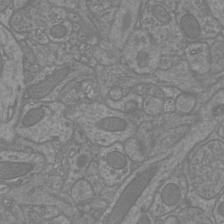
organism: Mouse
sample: Cortical neurons